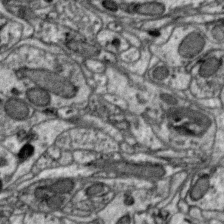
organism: Zebra finch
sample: Brain